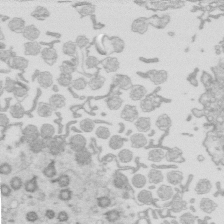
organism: Mouse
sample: Multiciliated cells